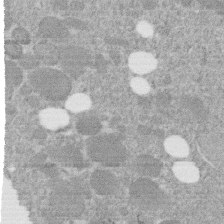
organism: C. elegans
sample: C. elegans embryo early stage